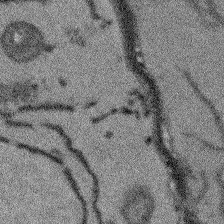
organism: Arabidopsis thaliana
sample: Root tip